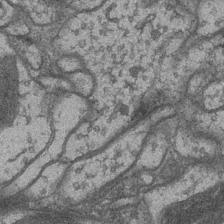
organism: Drosophila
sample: Optic medulla